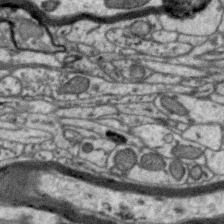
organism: Zebra finch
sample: Brain